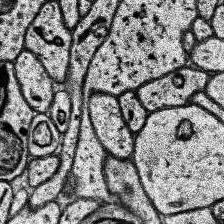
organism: Human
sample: Temporal Lobe